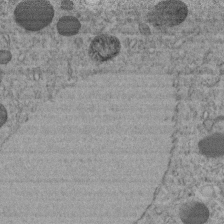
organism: C. elegans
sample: C. elegans embryo early stage